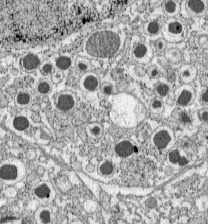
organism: C57BL Mouse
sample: Pancreatic islet